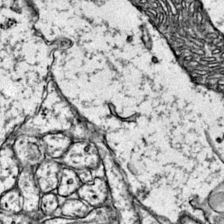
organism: Mouse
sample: Primary visual cortex